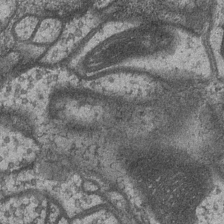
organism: Drosophila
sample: Optic medulla